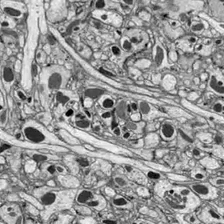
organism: Drosophila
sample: Optic lobe